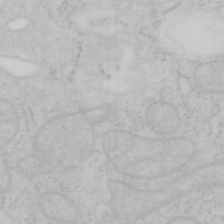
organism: Mouse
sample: OT-I killer T cells with ID8 ovarian cancer cells